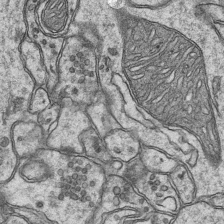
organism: Mouse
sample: CA1 Hippocampus